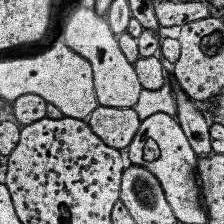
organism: Human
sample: Temporal Lobe